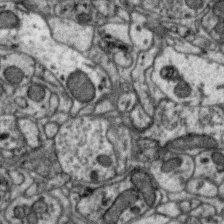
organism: Zebra finch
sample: Brain